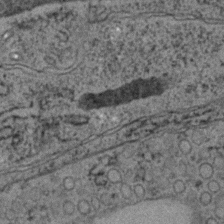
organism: C. elegans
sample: C. elegans embryo